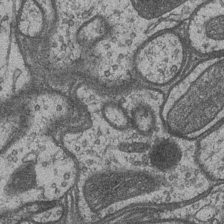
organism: Drosophila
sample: Optic medulla